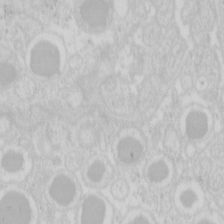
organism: Mouse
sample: Pancreas